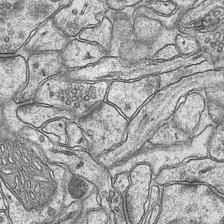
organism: Mouse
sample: CA1 Hippocampus